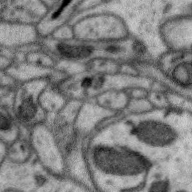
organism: Zebra finch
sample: Brain